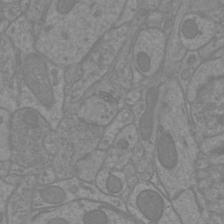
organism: Mouse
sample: Cortical neurons